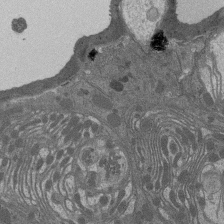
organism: Drosophila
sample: Antenna